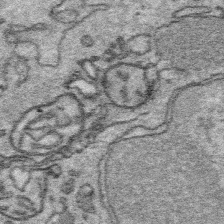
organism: Platynereis dumerilii